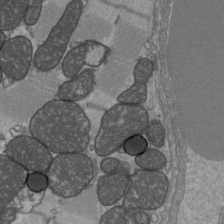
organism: C57BL Mouse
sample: Heart